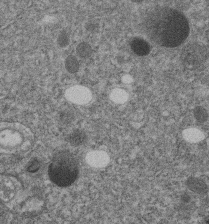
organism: C. elegans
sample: C. elegans embryo early stage